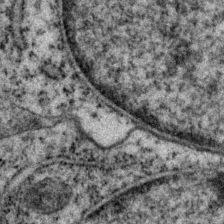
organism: P. pacificus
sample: Pharynx